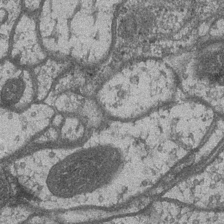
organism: Drosophila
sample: Optic medulla